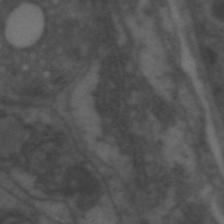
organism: C. elegans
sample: Pharynx